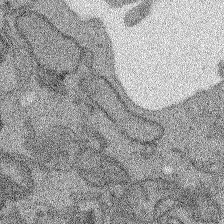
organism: Human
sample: HeLa cells